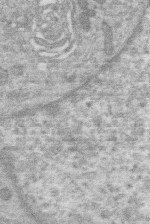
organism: Human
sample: Macrophage cells